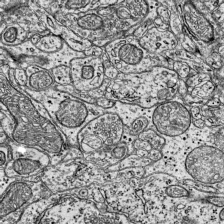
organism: Mouse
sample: Visual Cortex